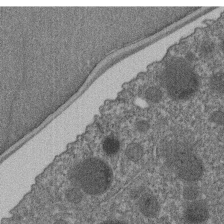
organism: C. elegans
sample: C. elegans embryo early stage